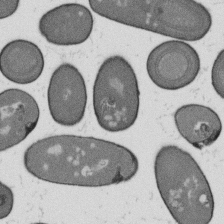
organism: B. subtilis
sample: Bacterial spore